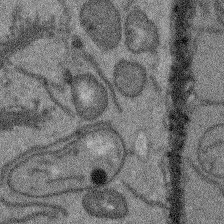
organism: Arabidopsis thaliana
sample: Root tip